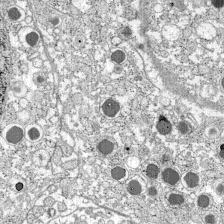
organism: C57BL Mouse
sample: Pancreatic islet